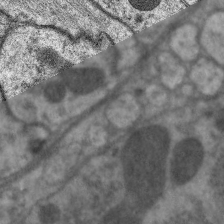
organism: C. elegans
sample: Pharynx